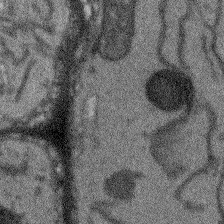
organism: Arabidopsis thaliana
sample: Root tip